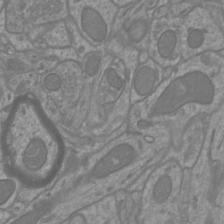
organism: Mouse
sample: Cortical neurons